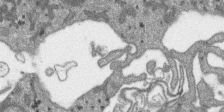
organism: Human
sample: Lung epithelial cells infected with SARS-CoV-2